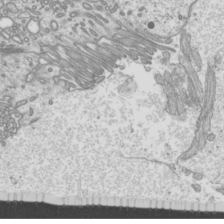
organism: Mouse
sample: Cilia; mouse epididymis